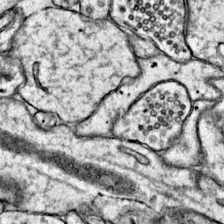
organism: Mouse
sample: Primary visual cortex